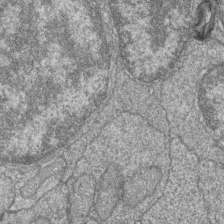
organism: Zebrafish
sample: Cilia; retinal pigment epithelium